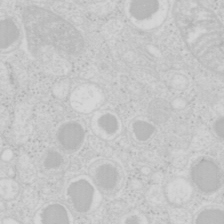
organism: Mouse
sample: Pancreas